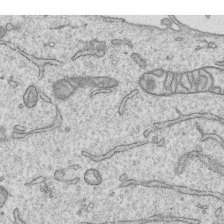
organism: Human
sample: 1205lu cells